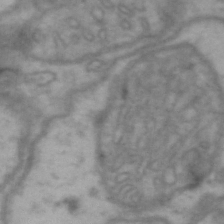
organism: Drosophila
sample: Brain